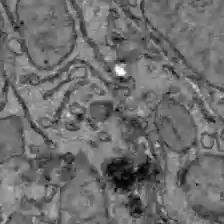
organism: C57BL Mouse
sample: Liver